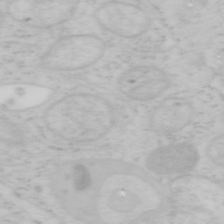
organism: Mouse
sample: OT-I killer T cells with ID8 ovarian cancer cells